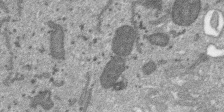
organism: Human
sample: Lung epithelial cells infected with SARS-CoV-2